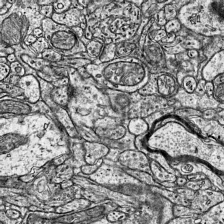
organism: Mouse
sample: Visual Cortex